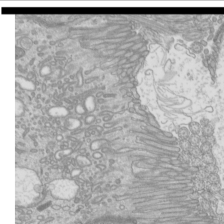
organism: Mouse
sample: Cilia; mouse epididymis